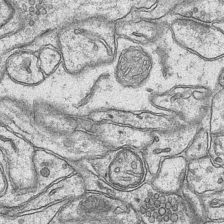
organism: Mouse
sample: CA1 Hippocampus